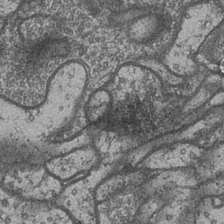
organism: Drosophila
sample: Optic medulla